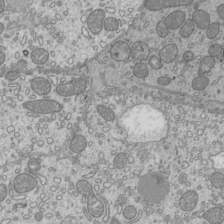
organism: Mouse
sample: Cilia; mouse epididymis